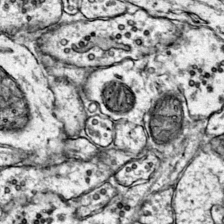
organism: Mouse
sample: Primary visual cortex